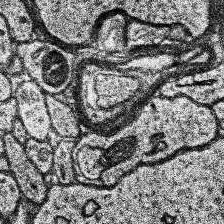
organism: Human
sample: Temporal Lobe